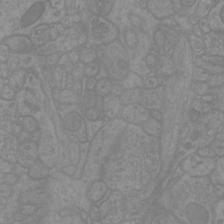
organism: Mouse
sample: Cortical neurons